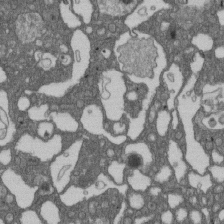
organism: Drosophila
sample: Nephrocyte